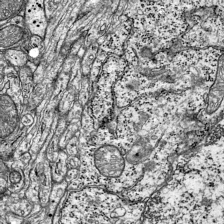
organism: Mouse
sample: Visual Cortex